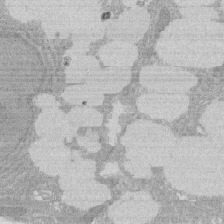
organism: Rat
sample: Salivary granule